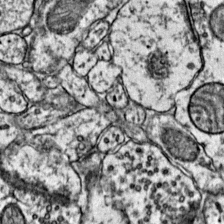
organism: Mouse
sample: Primary visual cortex